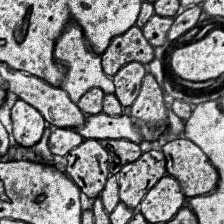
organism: Human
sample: Temporal Lobe